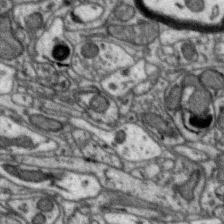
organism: Zebra finch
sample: Brain